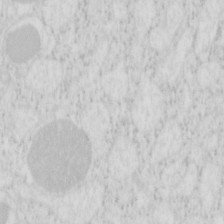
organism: Mouse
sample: Pancreas